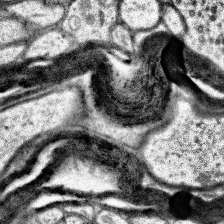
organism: Human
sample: Temporal Lobe